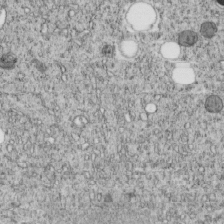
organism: C. elegans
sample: C. elegans embryo early stage